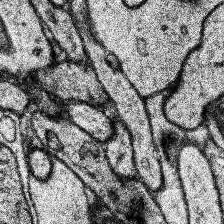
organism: Human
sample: Temporal Lobe